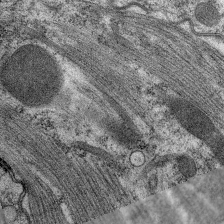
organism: C. elegans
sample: Pharynx